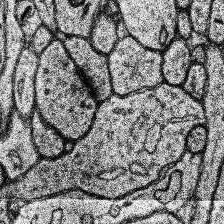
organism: Human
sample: Temporal Lobe